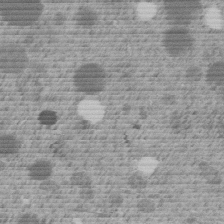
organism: C. elegans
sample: C. elegans embryo early stage